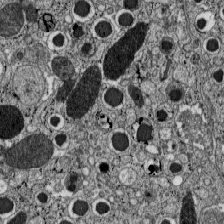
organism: C57BL Mouse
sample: Pancreatic islet